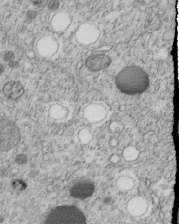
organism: C. elegans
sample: C. elegans embryo early stage